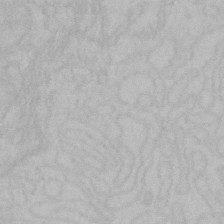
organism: Mouse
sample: Choroid plexus